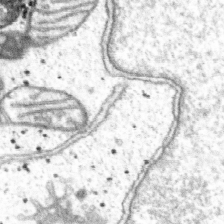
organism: Human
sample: HeLa cells